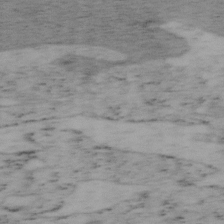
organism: Mouse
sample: OT-I killer T cells with ID8 ovarian cancer cells